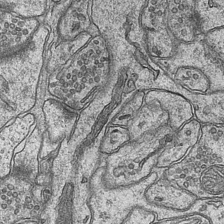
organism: Mouse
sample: CA1 Hippocampus